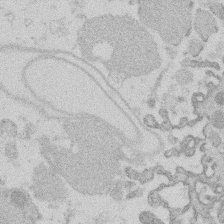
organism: Mouse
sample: Dividing mouse embryo 1 cell stage